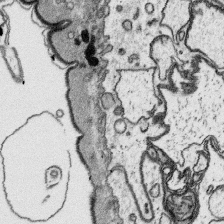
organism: Platynereis dumerilii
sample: Parapodia